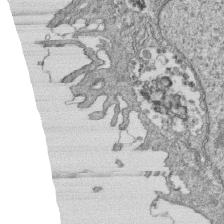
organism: Human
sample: HeLa cell HIV synapse